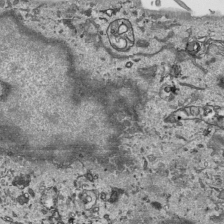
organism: Human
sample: Mitochondria in HCT116 cells